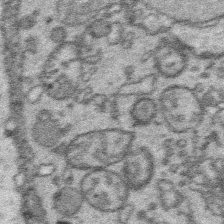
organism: Platynereis dumerilii